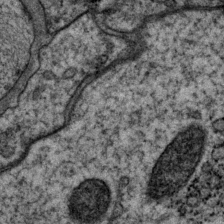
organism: P. pacificus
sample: Pharynx